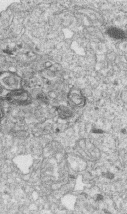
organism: Human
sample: HeLa cell HIV synapse